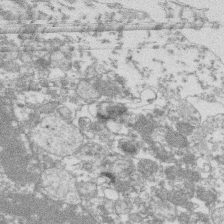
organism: Human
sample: HeLa cell HIV synapse